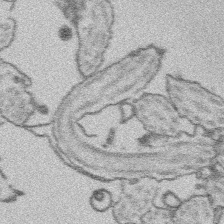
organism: Platynereis dumerilii